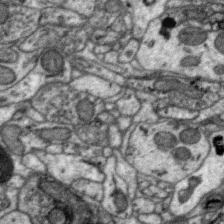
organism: Zebra finch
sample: Brain